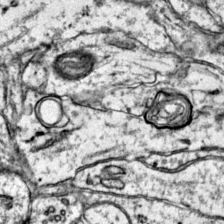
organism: Mouse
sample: Primary visual cortex